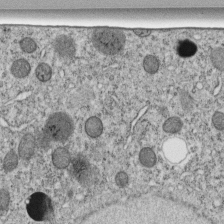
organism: C. elegans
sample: C. elegans embryo early stage